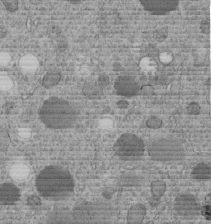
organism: C. elegans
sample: C. elegans embryo early stage